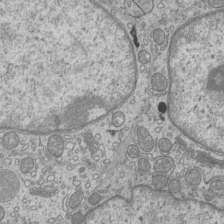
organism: Mouse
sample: Cilia; mouse epididymis